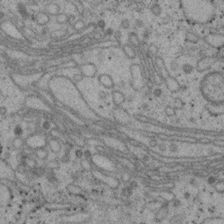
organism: Human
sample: HeLa cells